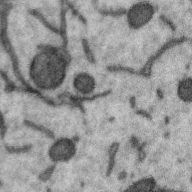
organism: Zebra finch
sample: Brain